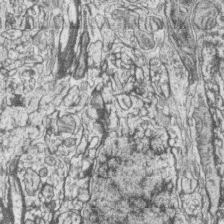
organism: Zebrafish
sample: synaptic ribbons in rod cells and cone cells